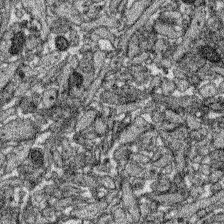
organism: Zebrafish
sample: Larval olfactory bulb